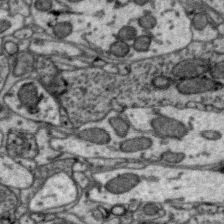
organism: Zebra finch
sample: Brain